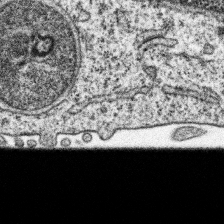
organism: Human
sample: HeLa cells